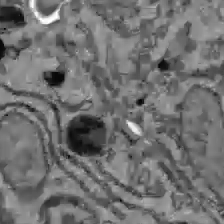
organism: C57BL Mouse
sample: Liver